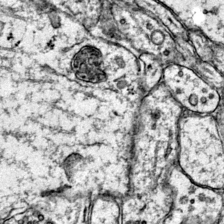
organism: Mouse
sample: Primary visual cortex